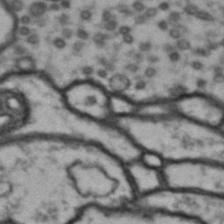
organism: Drosophila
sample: Brain